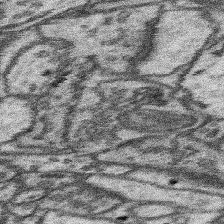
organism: Mouse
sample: Somatosensory cortex neuropil